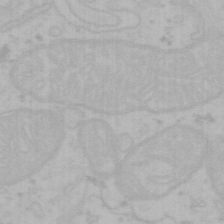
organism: Mouse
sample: Choroid plexus